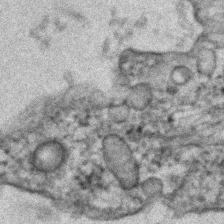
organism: Human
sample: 1205lu cells